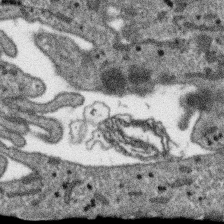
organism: Human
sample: Lung epithelial cells infected with SARS-CoV-2